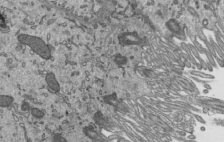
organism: Mouse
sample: Mouse epididymis efferent ductule cilia